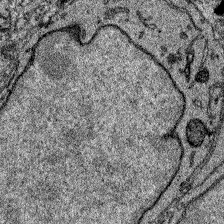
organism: Zebrafish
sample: Larval olfactory bulb